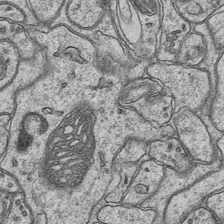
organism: Mouse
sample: CA1 Hippocampus